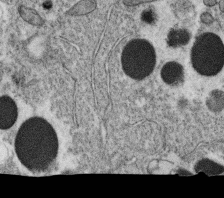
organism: C. elegans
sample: C. elegans oocyte; sperm cells